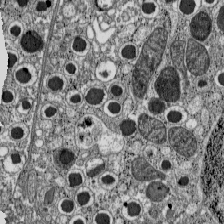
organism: C57BL Mouse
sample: Pancreatic islet